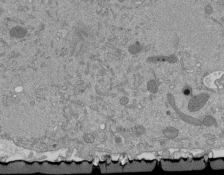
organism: Mouse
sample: ED-1 cell nuclei; centrioles